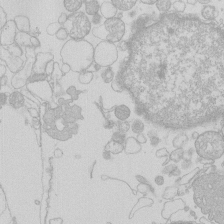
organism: Human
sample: Macrophage cells